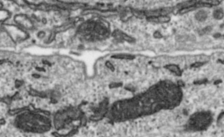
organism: Toxoplasma gondii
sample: Parasites in a vacuole inside a host cell